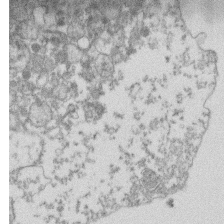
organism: Human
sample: HeLa cell HIV synapse